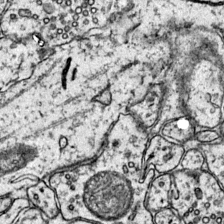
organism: Mouse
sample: Primary visual cortex